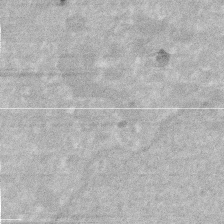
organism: Human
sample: HIV infected U937 cells